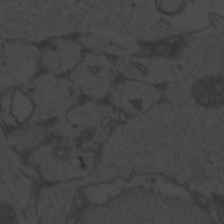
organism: Zebrafish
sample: Macrophage infected with Toxoplasma gondii